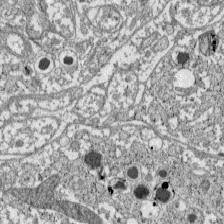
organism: C57BL Mouse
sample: Pancreatic islet